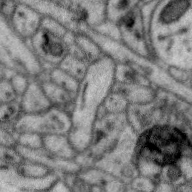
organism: Zebra finch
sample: Brain